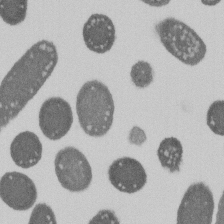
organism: E. coli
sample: Bacterial nucleoid